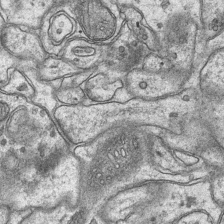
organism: Mouse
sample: CA1 Hippocampus